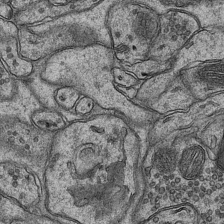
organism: Mouse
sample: CA1 Hippocampus